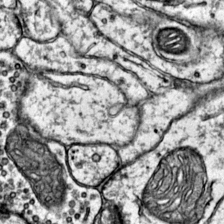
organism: Mouse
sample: Primary visual cortex